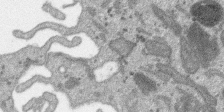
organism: Human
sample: Lung epithelial cells infected with SARS-CoV-2